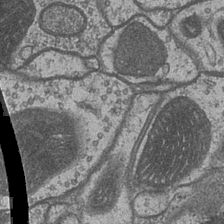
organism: Drosophila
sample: Optic medulla